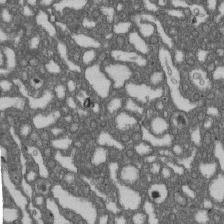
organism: Drosophila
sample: Nephrocyte